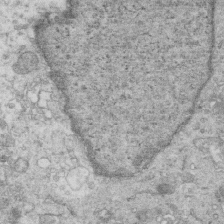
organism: Mouse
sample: Multiciliated cells